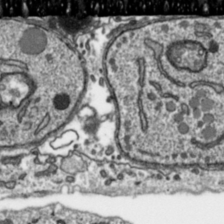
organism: Toxoplasma gondii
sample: Parasites in a vacuole inside a host cell